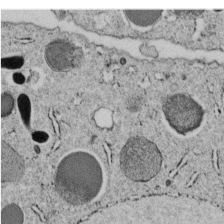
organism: C. elegans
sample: C. elegans embryo early stage